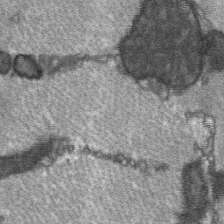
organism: C57BL Mouse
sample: Soleus